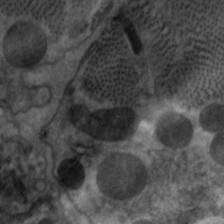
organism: C. elegans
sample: Pharynx